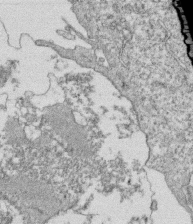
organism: Human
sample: HeLa cell HIV synapse